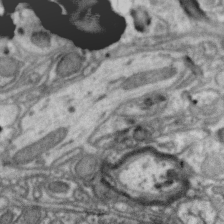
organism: Zebra finch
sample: Brain